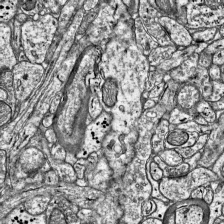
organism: Mouse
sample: Visual Cortex